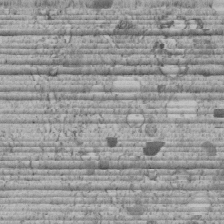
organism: C. elegans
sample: C. elegans embryo early stage